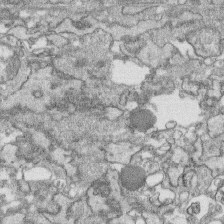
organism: Human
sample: CRL-1474